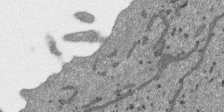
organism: Human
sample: Lung epithelial cells infected with SARS-CoV-2